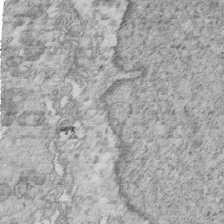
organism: Mouse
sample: Multiciliated cells